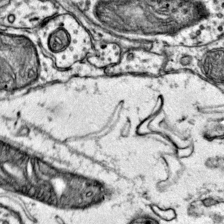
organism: Mouse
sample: Primary visual cortex